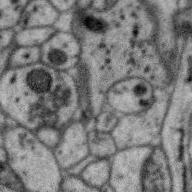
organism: Zebra finch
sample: Brain